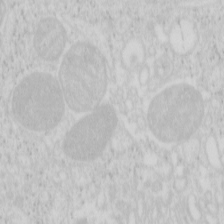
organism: Mouse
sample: Pancreas